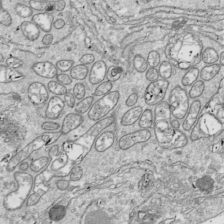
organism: Drosophila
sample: Cell division; meiosis; drosophila spermatocytes